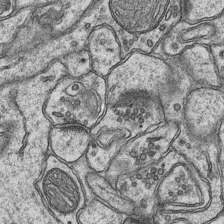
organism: Mouse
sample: CA1 Hippocampus